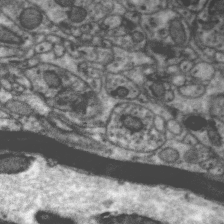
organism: Zebra finch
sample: Brain